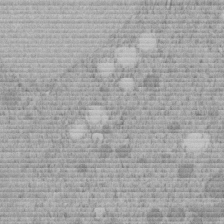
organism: C. elegans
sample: C. elegans embryo early stage